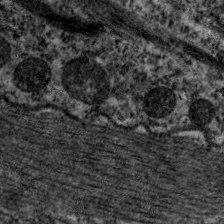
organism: C. elegans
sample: Pharynx